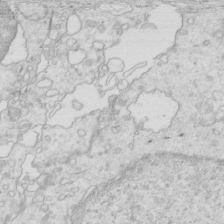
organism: Mouse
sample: Multiciliated cells